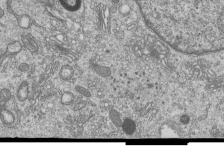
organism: Human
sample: MDA-MB-231 cells